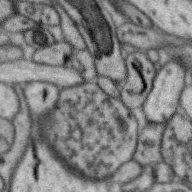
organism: Zebra finch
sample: Brain